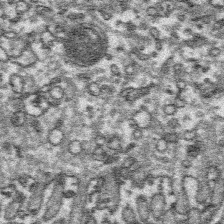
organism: Platynereis dumerilii